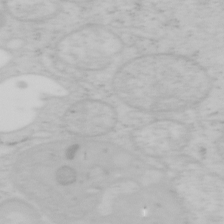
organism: Mouse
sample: OT-I killer T cells with ID8 ovarian cancer cells